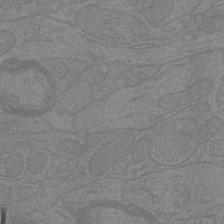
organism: Mouse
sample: Cortical neurons